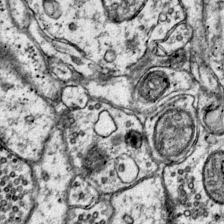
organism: Mouse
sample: Primary visual cortex